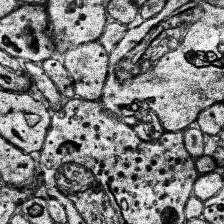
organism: Human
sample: Temporal Lobe